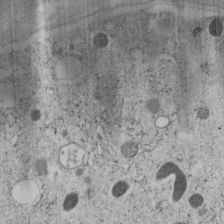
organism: C. elegans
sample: C. elegans embryo early stage